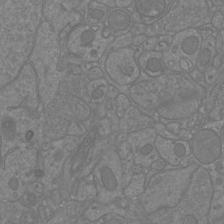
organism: Mouse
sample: Cortical neurons